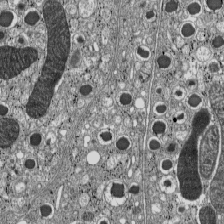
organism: C57BL Mouse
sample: Pancreatic islet